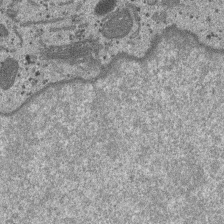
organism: Human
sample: Lung epithelial cells infected with SARS-CoV-2